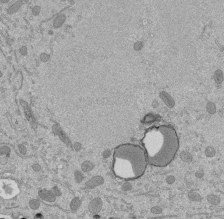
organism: Mouse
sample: ED-1 cell nuclei; centrioles